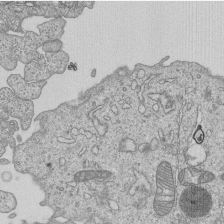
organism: Human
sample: MDA-MB-231 cells